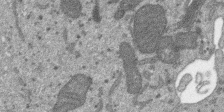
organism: Human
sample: Lung epithelial cells infected with SARS-CoV-2